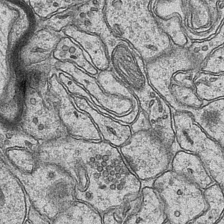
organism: Mouse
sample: CA1 Hippocampus